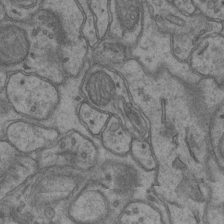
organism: Mouse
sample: CA1 Hippocampus